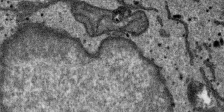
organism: Human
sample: Lung epithelial cells, uninfected (mock) control